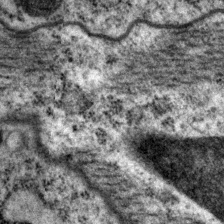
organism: P. pacificus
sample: Pharynx